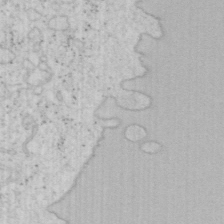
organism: Human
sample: HeLa cells